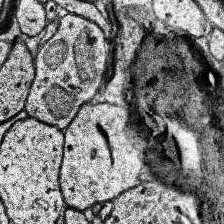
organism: Human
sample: Temporal Lobe